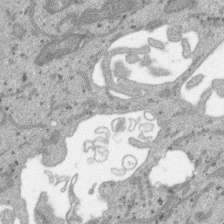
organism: Human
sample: Lung epithelial cells infected with SARS-CoV-2